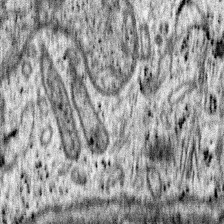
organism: Human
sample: HeLa cells